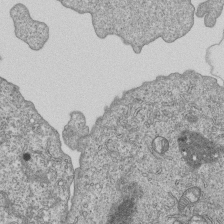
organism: Human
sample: MDA-MB-231 cells